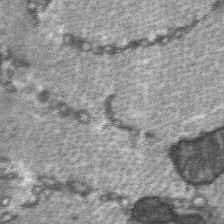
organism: C57BL Mouse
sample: Soleus